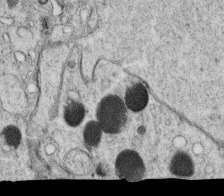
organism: C. elegans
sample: C. elegans oocyte; sperm cells